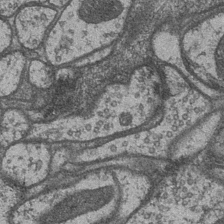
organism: Drosophila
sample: Optic medulla